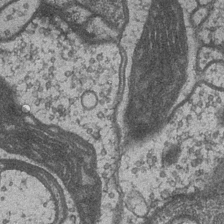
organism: Drosophila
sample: Optic medulla